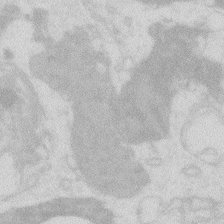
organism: Zebrafish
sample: Macrophage